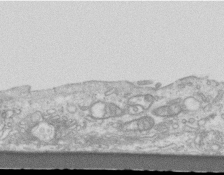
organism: Mouse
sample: Centriole in ependymal cells